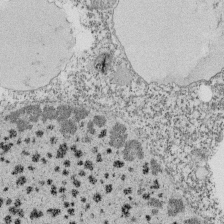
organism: Tetrahymena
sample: Cilia in tetrahymena